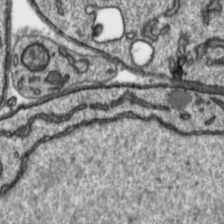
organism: Toxoplasma gondii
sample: Parasites in a vacuole inside a host cell